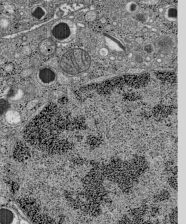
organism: C57BL Mouse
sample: Pancreatic islet